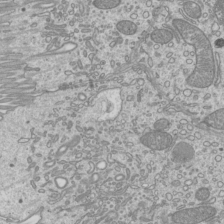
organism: Mouse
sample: Cilia; mouse epididymis